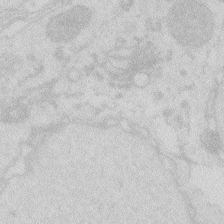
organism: Zebrafish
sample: Macrophage